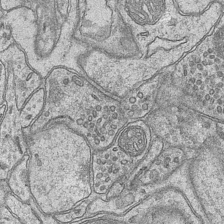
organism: Mouse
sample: CA1 Hippocampus